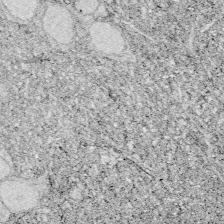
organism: Zebrafish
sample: Whole-Brain